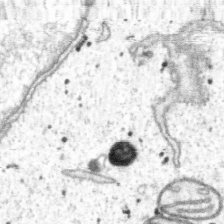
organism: Human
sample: HeLa cells